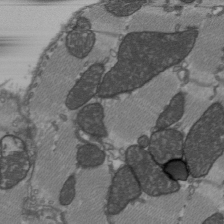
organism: C57BL Mouse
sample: Heart